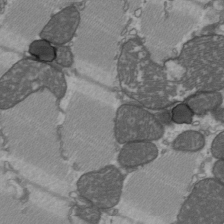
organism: C57BL Mouse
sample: Heart